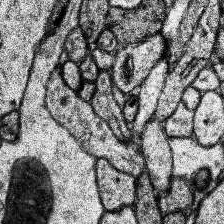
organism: Human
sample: Temporal Lobe